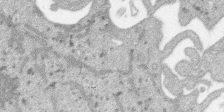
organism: Human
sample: Lung epithelial cells infected with SARS-CoV-2